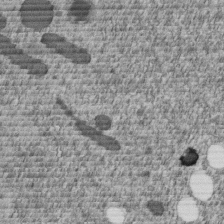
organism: C. elegans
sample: C. elegans embryo early stage